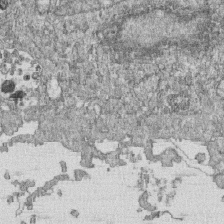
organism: Human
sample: HeLa cell HIV synapse